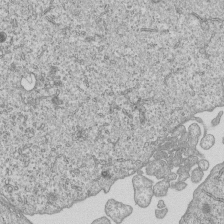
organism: Human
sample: MDA-MB-231 cells